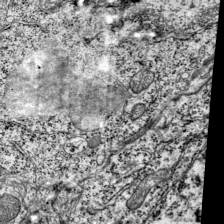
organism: Mouse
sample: Visual Cortex